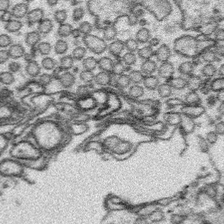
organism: Platynereis dumerilii